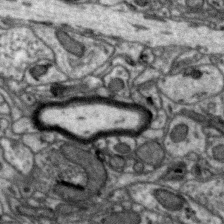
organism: Zebra finch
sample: Brain